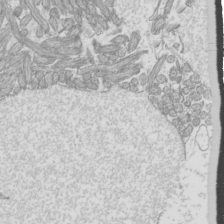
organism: Mouse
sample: Cilia; mouse epididymis